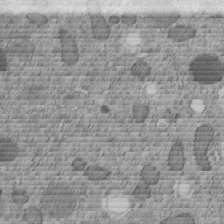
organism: C. elegans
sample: C. elegans embryo early stage